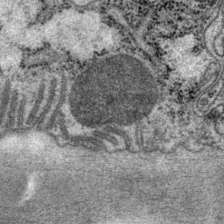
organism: P. pacificus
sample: Pharynx